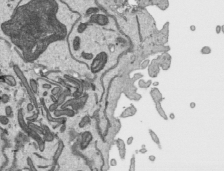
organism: Human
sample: Mitochondria in HCT116 cells